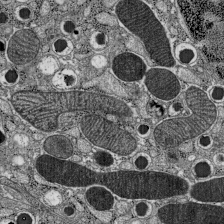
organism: C57BL Mouse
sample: Pancreatic islet